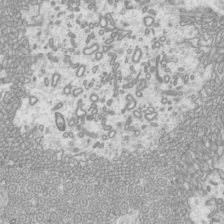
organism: Mouse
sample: Cilia; mouse epididymis